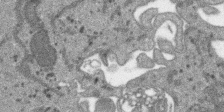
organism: Human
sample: Lung epithelial cells infected with SARS-CoV-2